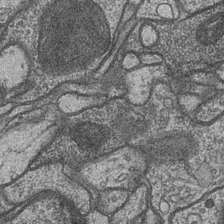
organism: Drosophila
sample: Optic medulla